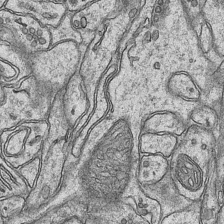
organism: Mouse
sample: CA1 Hippocampus